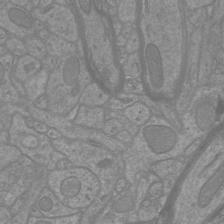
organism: Mouse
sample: Cortical neurons